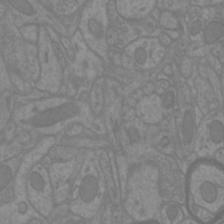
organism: Mouse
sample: Cortical neurons